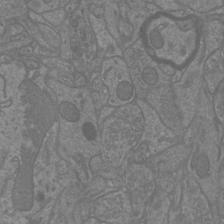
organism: Mouse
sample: Cortical neurons